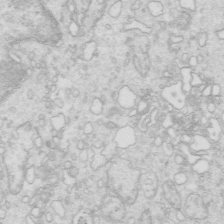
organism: Mouse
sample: Multiciliated cells